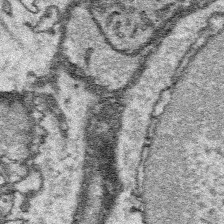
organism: Platynereis dumerilii